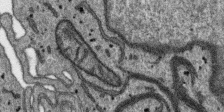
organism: Human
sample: Lung epithelial cells, uninfected (mock) control